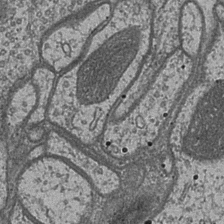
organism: Drosophila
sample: Optic medulla